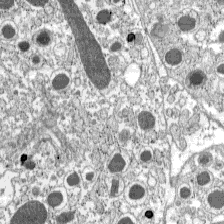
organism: C57BL Mouse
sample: Pancreatic islet